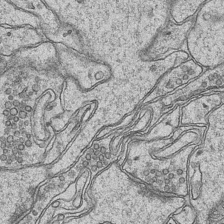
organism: Mouse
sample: CA1 Hippocampus